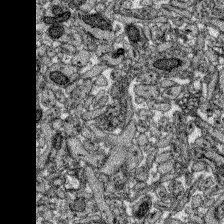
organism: Zebrafish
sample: Larval olfactory bulb